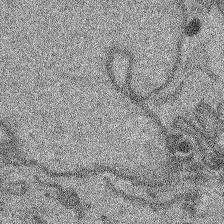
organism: Human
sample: HeLa cells